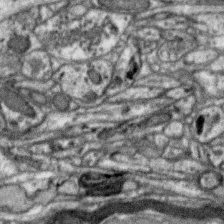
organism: Zebra finch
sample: Brain